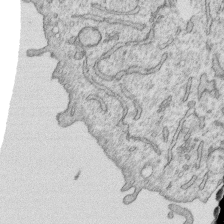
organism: Human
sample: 1205lu cells